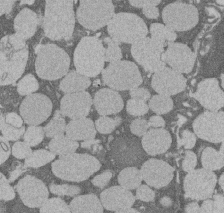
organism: Rat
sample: Salivary granule